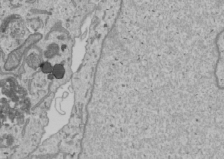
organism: Human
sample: Mitochondria in U2OS cells